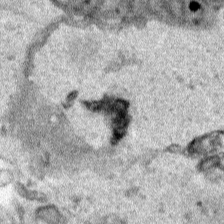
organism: Human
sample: Mitochondria in HCT116 cells